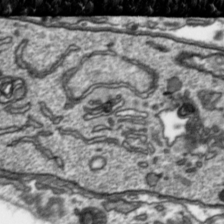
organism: Toxoplasma gondii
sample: Parasites in a vacuole inside a host cell